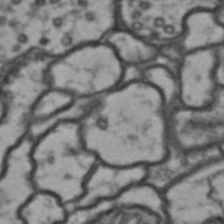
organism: Drosophila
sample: Brain